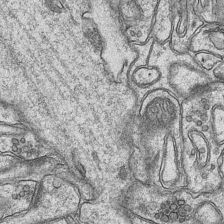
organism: Mouse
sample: CA1 Hippocampus